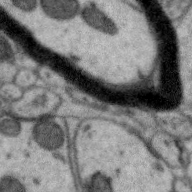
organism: Zebra finch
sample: Brain